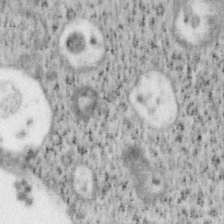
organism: Mouse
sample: OT-I killer T cells with ID8 ovarian cancer cells